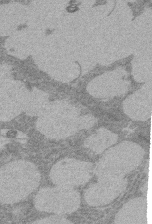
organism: Rat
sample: Salivary granule